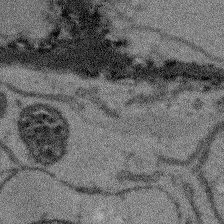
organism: Arabidopsis thaliana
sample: Root tip